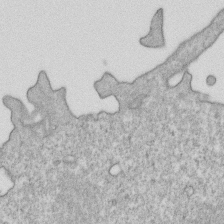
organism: Mouse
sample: Activated OT-1 CD8+ T cells